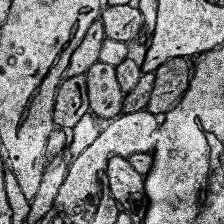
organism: Human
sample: Temporal Lobe